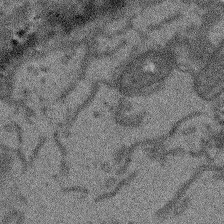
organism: Arabidopsis thaliana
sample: Root tip